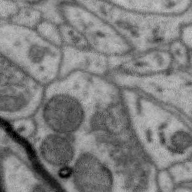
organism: Zebra finch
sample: Brain